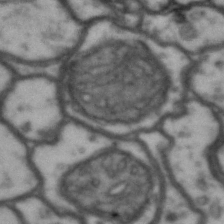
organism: Drosophila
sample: Brain